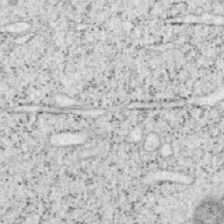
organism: Mouse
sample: OT-I killer T cells with ID8 ovarian cancer cells